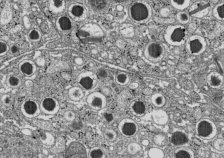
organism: C57BL Mouse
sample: Pancreatic islet